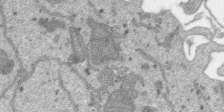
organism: Human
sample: Lung epithelial cells infected with SARS-CoV-2